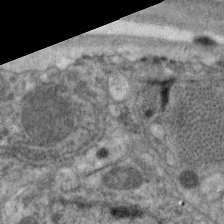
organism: C. elegans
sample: Pharynx